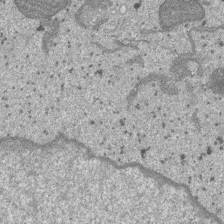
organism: Human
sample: Lung epithelial cells infected with SARS-CoV-2